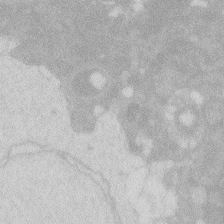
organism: Zebrafish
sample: Macrophage